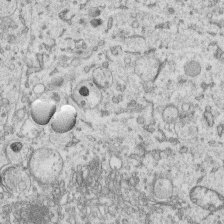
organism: Human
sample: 1205lu cells